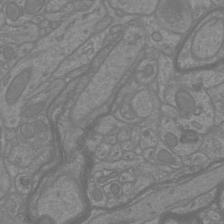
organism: Mouse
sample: Cortical neurons